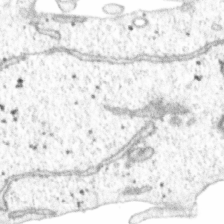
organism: Human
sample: HeLa cells